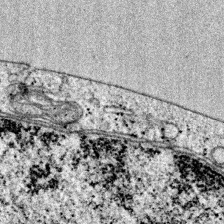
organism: Human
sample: HeLa cells